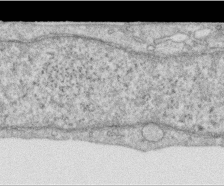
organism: Human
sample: Centriole in RPE cells